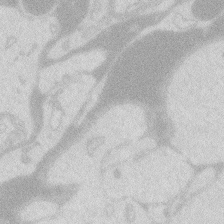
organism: Zebrafish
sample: Macrophage